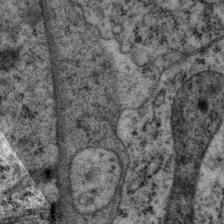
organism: P. pacificus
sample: Pharynx